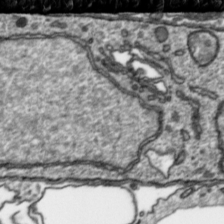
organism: Toxoplasma gondii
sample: Parasites in a vacuole inside a host cell